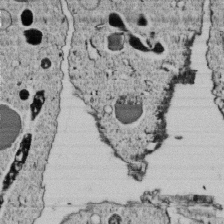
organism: C. elegans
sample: C. elegans embryo early stage